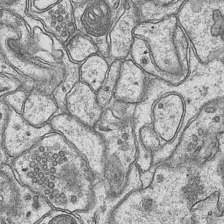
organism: Mouse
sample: CA1 Hippocampus